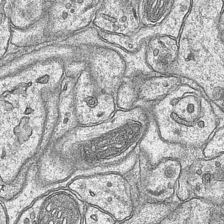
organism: Mouse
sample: CA1 Hippocampus